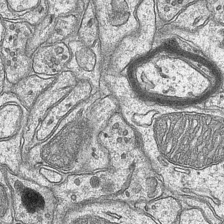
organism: Mouse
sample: CA1 Hippocampus